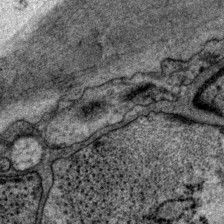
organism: P. pacificus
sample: Pharynx